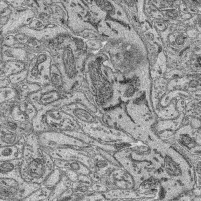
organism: Mouse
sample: Retina